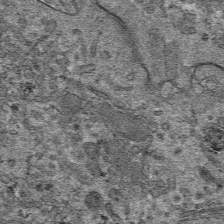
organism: Mouse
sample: Mouse hepatocytes